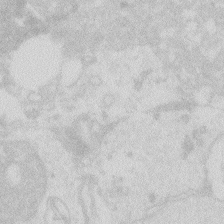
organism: Zebrafish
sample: Macrophage